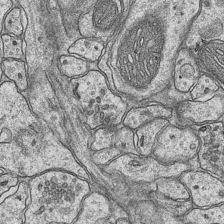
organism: Mouse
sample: CA1 Hippocampus